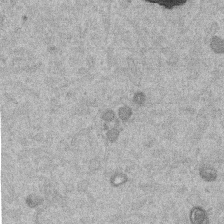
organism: Mouse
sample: Dividing mouse embryo 1 cell stage